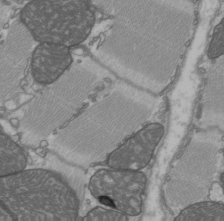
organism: C57BL Mouse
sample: Heart